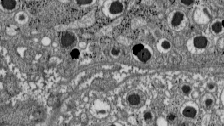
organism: C57BL Mouse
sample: Pancreatic islet